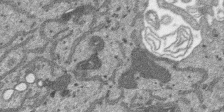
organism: Human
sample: Lung epithelial cells infected with SARS-CoV-2